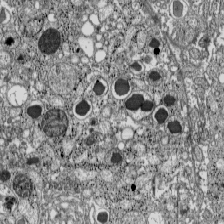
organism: C57BL Mouse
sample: Pancreatic islet